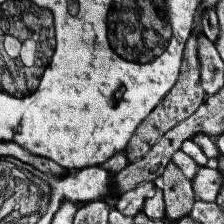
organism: Human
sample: Temporal Lobe